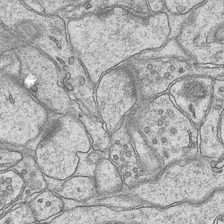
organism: Mouse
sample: CA1 Hippocampus